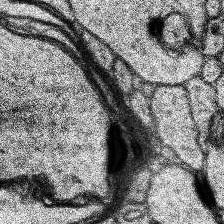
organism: Human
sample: Temporal Lobe